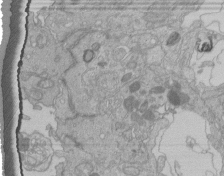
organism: Human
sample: Retinal organoid Rod and Cone cells